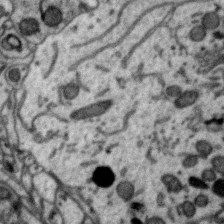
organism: Zebra finch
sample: Brain